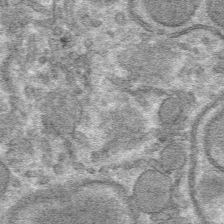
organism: Mouse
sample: Mouse hepatocytes